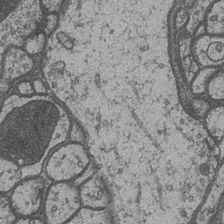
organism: Drosophila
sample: Optic medulla